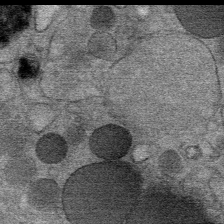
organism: Mouse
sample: Mouse Salivary gland